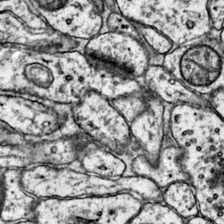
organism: Mouse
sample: Primary visual cortex